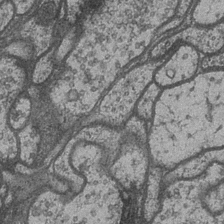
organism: Drosophila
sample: Optic medulla